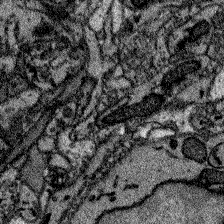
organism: Zebrafish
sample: Larval olfactory bulb